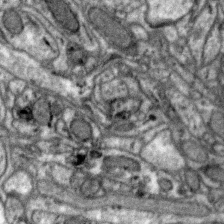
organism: Zebra finch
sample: Brain